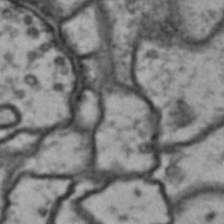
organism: Drosophila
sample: Brain